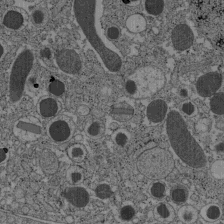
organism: C57BL Mouse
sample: Pancreatic islet